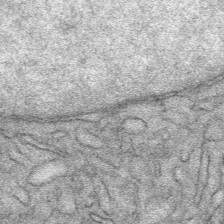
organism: Mouse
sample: Mouse Salivary gland